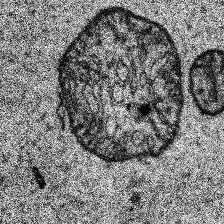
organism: Human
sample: Temporal Lobe